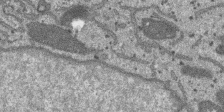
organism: Human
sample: Lung epithelial cells infected with SARS-CoV-2